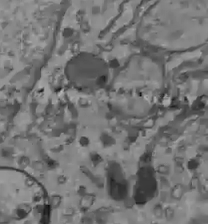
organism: C57BL Mouse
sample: Liver